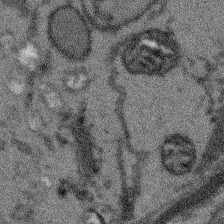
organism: Arabidopsis thaliana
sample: Root tip